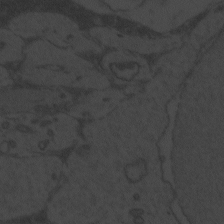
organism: Zebrafish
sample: Macrophage infected with Toxoplasma gondii